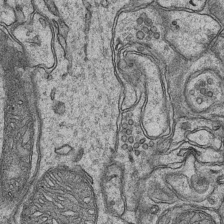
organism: Mouse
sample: CA1 Hippocampus